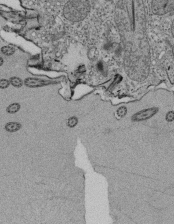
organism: Tetrahymena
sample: Cilia in tetrahymena